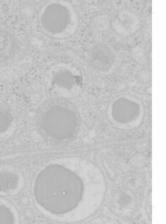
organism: Mouse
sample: Pancreas